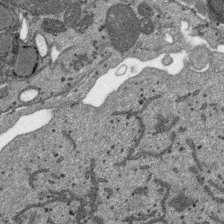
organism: Human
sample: Lung epithelial cells infected with SARS-CoV-2